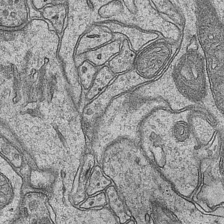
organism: Mouse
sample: CA1 Hippocampus